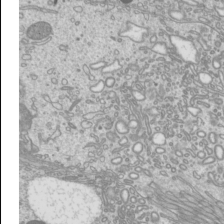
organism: Mouse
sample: Cilia; mouse epididymis